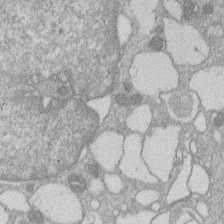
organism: Human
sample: Macrophage cells